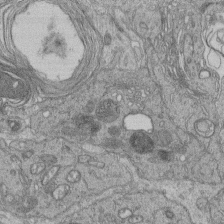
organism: Human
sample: Retinal organoid Rod and Cone cells